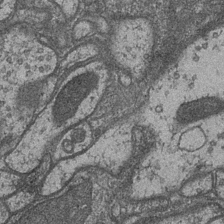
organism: Drosophila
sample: Optic medulla